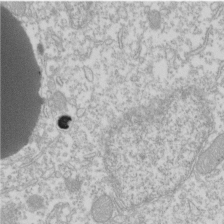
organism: Xenopus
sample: Cilia; centrioles in frog embryo cells